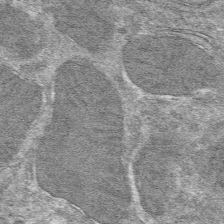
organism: Mouse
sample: Mouse hepatocytes